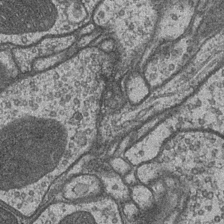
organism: Drosophila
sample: Optic medulla